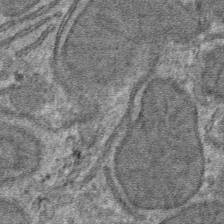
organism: Mouse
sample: Mouse hepatocytes